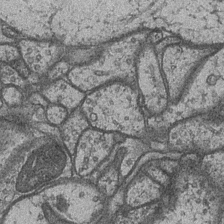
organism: Drosophila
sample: Optic medulla